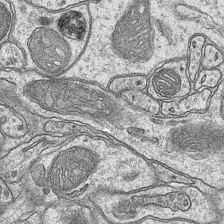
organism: Mouse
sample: CA1 Hippocampus